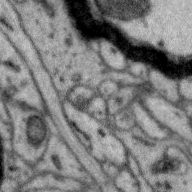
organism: Zebra finch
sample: Brain